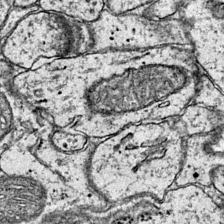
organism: Mouse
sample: Primary visual cortex